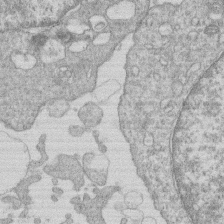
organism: Human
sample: Macrophage cells